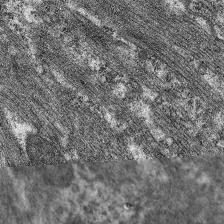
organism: C. elegans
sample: Pharynx